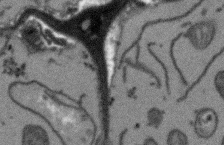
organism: Arabidopsis thaliana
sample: Root tip